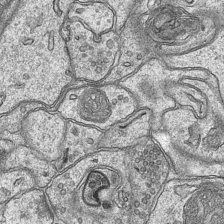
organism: Mouse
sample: CA1 Hippocampus